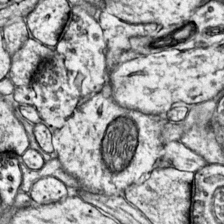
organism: Mouse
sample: Primary visual cortex